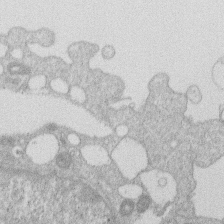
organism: Human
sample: Macrophage cells